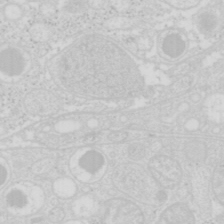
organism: Mouse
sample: Pancreas